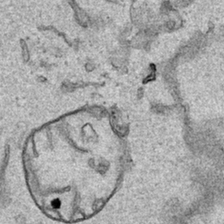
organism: Human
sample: Mitochondria in HCT116 cells